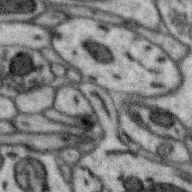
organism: Zebra finch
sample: Brain